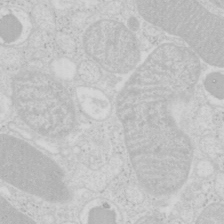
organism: Mouse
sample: Pancreas